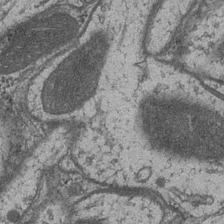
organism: Drosophila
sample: Optic medulla